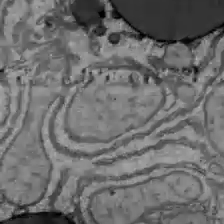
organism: C57BL Mouse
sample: Liver